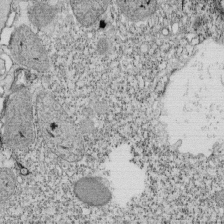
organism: Tetrahymena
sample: Cilia in tetrahymena